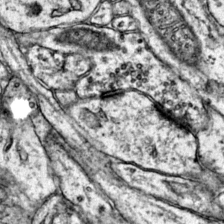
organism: Mouse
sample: Primary visual cortex